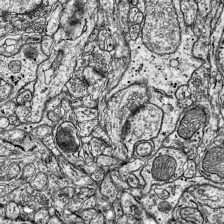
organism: Mouse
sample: Visual Cortex